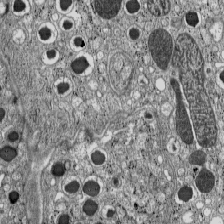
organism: C57BL Mouse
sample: Pancreatic islet